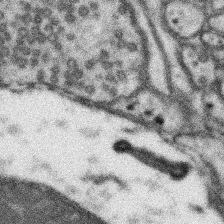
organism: Mouse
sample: Somatosensory cortex neuropil